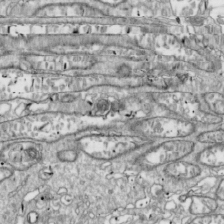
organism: Drosophila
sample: Cell division; meiosis; drosophila spermatocytes